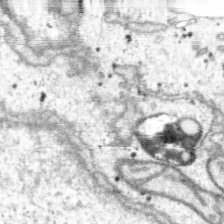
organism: Human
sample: HeLa cells